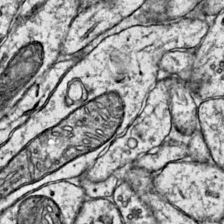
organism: Mouse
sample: Primary visual cortex